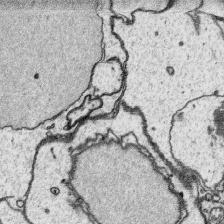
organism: Platynereis dumerilii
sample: Parapodia